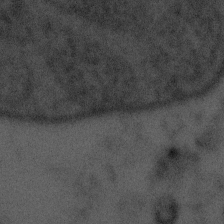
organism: Tuwongella immobilis